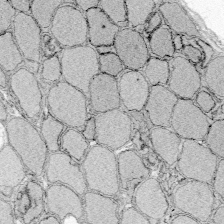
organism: Zebrafish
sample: Whole-Brain